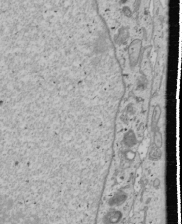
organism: Human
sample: Mitochondria in U2OS cells